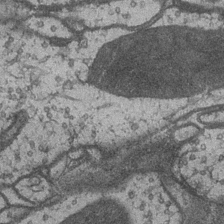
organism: Drosophila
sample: Optic medulla